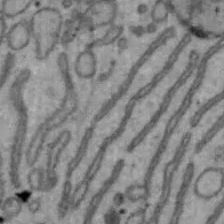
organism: Mouse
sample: Liver